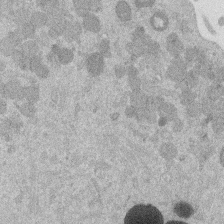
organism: Mouse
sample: Dividing mouse embryo 1 cell stage